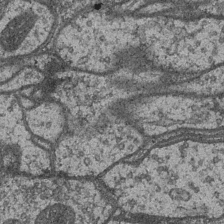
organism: Drosophila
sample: Optic medulla